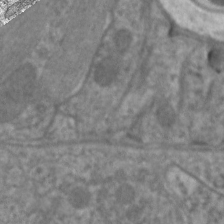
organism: C. elegans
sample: Pharynx